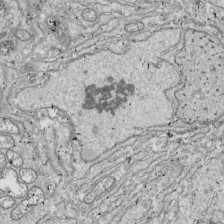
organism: Drosophila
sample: Cell division; meiosis; drosophila spermatocytes